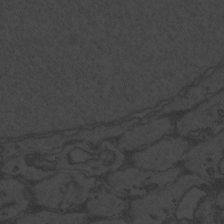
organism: Zebrafish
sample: Macrophage infected with Toxoplasma gondii